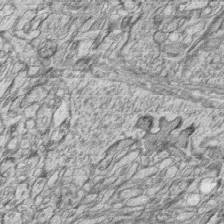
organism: Zebrafish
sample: synaptic ribbons in rod cells and cone cells